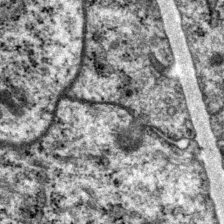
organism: P. pacificus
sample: Pharynx